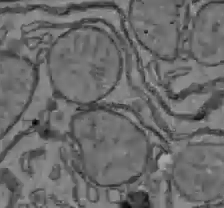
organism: C57BL Mouse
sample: Liver